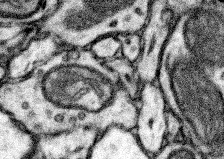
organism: Mouse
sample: Somatosensory cortex neuropil